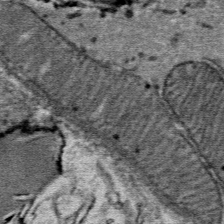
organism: Mouse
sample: Mouse Salivary gland